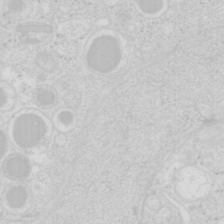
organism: Mouse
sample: Pancreas